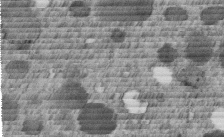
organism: C. elegans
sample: C. elegans embryo early stage